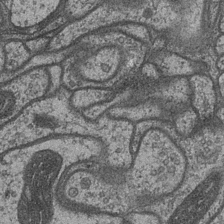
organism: Drosophila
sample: Optic medulla